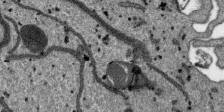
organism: Human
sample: Lung epithelial cells, uninfected (mock) control